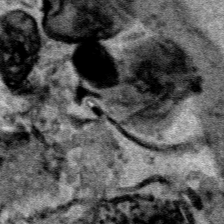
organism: Human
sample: Mitochondria in HCT116 cells